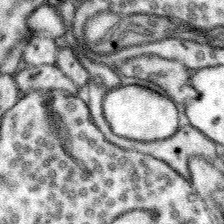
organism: Mouse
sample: Somatosensory cortex neuropil